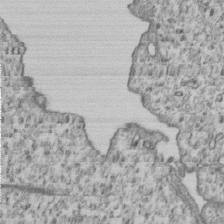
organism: Human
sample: MDA-MB-231 cells